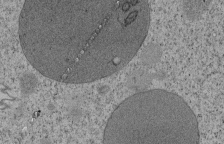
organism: Tetrahymena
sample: Cilia in tetrahymena